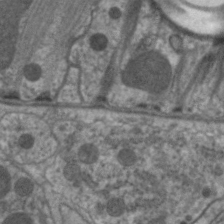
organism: C. elegans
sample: Pharynx